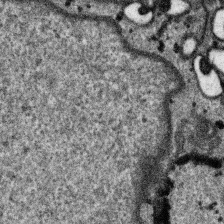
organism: Human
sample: Lung epithelial cells infected with SARS-CoV-2